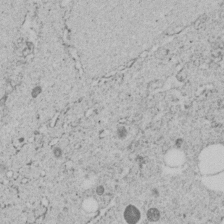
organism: C. elegans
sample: C. elegans embryo early stage